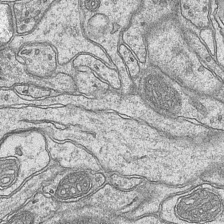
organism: Mouse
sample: CA1 Hippocampus